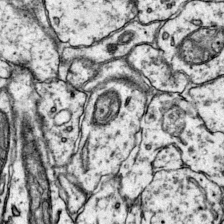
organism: Mouse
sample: Primary visual cortex